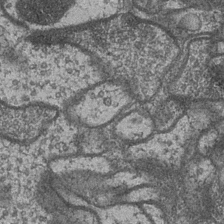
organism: Drosophila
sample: Optic medulla